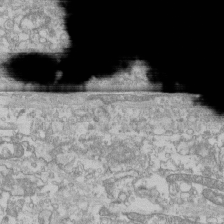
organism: Human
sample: CRL-1474